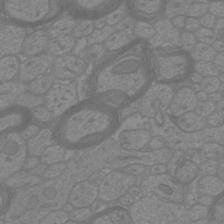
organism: Mouse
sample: Cortical neurons